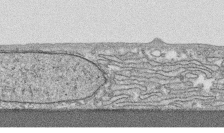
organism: Human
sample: CRL-1474